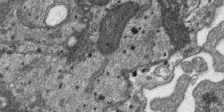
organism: Human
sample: Lung epithelial cells infected with SARS-CoV-2